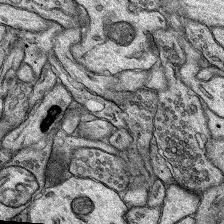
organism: Rat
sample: Hippocampus